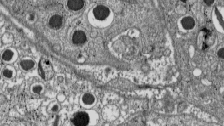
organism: C57BL Mouse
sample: Pancreatic islet